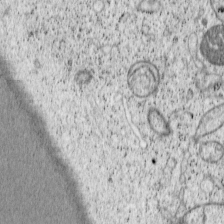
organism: African green monkey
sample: COS-7 cells